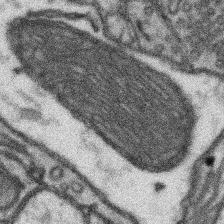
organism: Mouse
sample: Somatosensory cortex neuropil